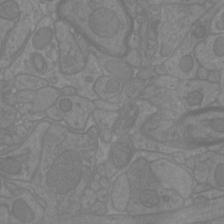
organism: Mouse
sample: Cortical neurons